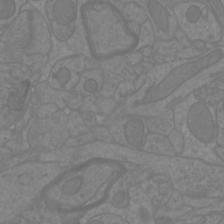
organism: Mouse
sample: Cortical neurons